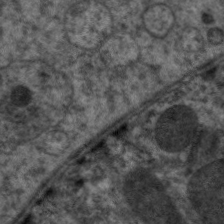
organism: C. elegans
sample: Pharynx